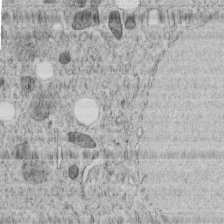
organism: C. elegans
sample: C. elegans embryo early stage